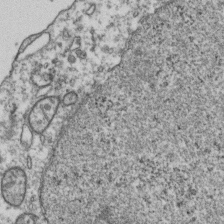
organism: Human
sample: Activated Jurkat CD4+ T cells